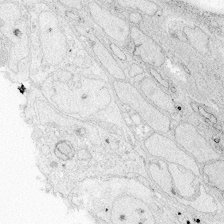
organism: Zebrafish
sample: Whole-Brain